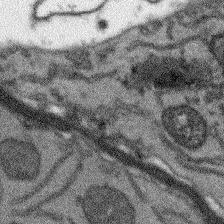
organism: Arabidopsis thaliana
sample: Root tip